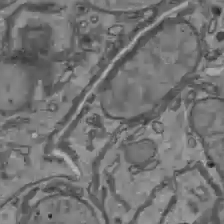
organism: C57BL Mouse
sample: Liver